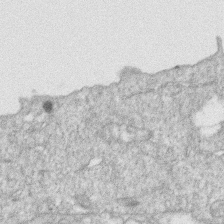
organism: Human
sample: HeLa cell HIV synapse